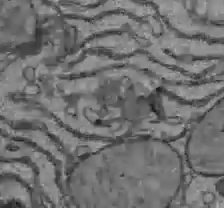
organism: C57BL Mouse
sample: Liver